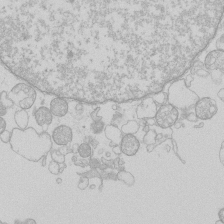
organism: Human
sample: Macrophage cells